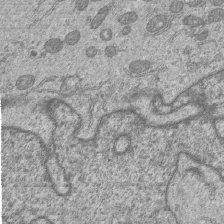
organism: Human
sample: MDA-MB-231 cells